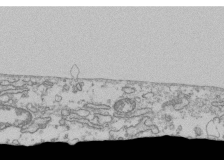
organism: Human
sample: Fibroblast cells